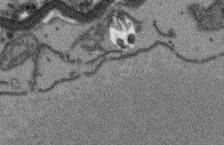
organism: Arabidopsis thaliana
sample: Root tip